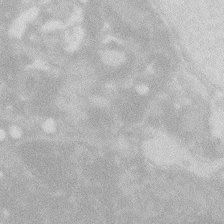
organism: Zebrafish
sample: Macrophage